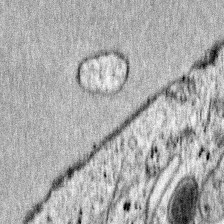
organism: Human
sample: HeLa cells